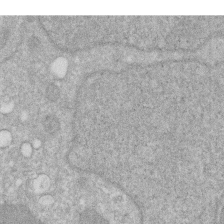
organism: Human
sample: HIV infected U937 cells